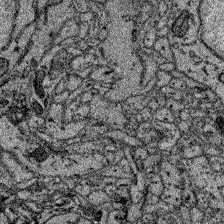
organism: Zebrafish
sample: Larval olfactory bulb